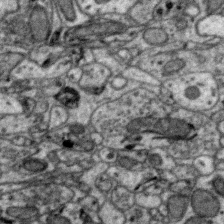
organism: Zebra finch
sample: Brain